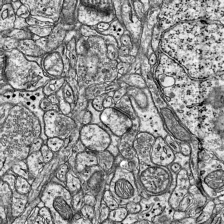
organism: Mouse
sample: Visual Cortex